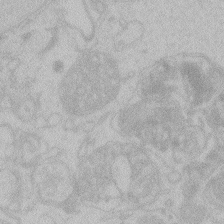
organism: Zebrafish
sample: Macrophage infected with Toxoplasma gondii